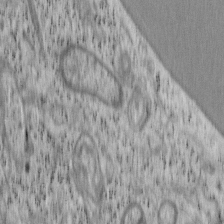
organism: Human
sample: HeLa cells